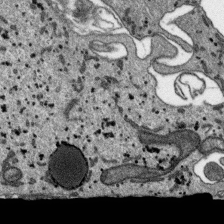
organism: Human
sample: Lung epithelial cells, uninfected (mock) control